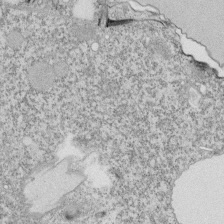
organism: Tetrahymena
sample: Cilia in tetrahymena